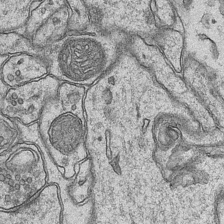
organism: Mouse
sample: CA1 Hippocampus